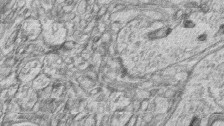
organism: Zebrafish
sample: synaptic ribbons in rod cells and cone cells